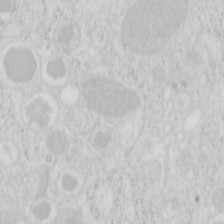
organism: Mouse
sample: Pancreas